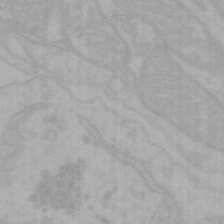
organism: Mouse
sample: Choroid plexus